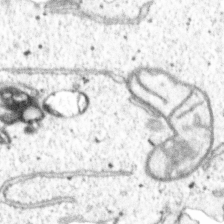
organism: Human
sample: HeLa cells